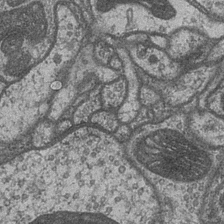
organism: Drosophila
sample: Optic medulla